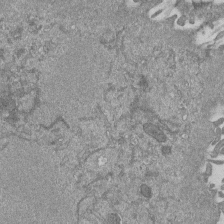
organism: Mouse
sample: ED-1 cell nuclei; centrioles